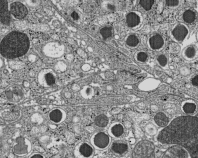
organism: C57BL Mouse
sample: Pancreatic islet